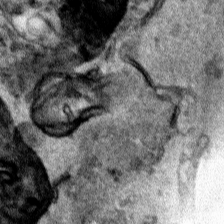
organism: Human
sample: Mitochondria in HCT116 cells